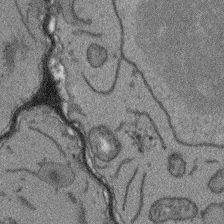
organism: Arabidopsis thaliana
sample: Root tip